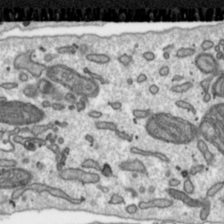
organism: Toxoplasma gondii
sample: Parasites in a vacuole inside a host cell